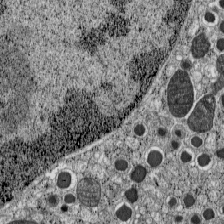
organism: C57BL Mouse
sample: Pancreatic islet